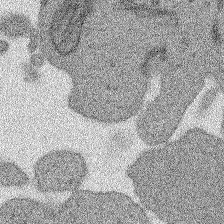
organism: Human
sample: HeLa cells